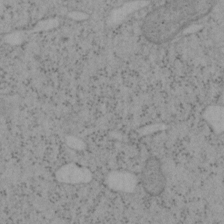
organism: Mouse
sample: OT-I killer T cells with ID8 ovarian cancer cells